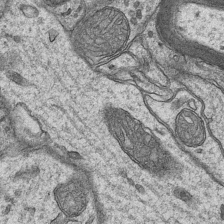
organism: Mouse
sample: CA1 Hippocampus